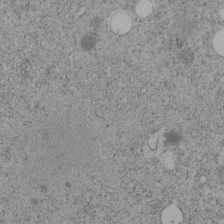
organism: C. elegans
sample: C. elegans embryo early stage